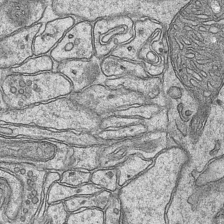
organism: Mouse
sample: CA1 Hippocampus